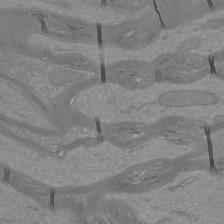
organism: Mouse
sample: Cortical neurons